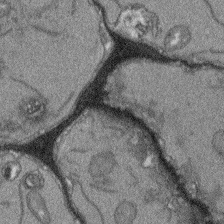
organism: Arabidopsis thaliana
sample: Root tip